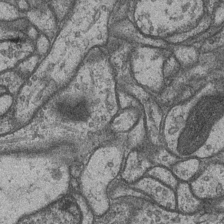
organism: Drosophila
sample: Optic medulla